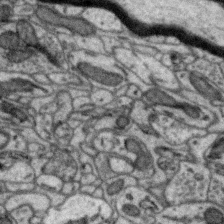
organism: Zebra finch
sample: Brain